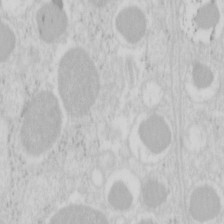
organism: Mouse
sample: Pancreas